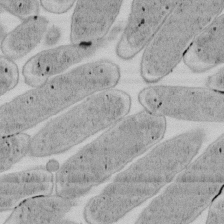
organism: E. coli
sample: Bacterial nucleoid